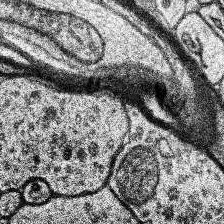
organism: Human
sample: Temporal Lobe